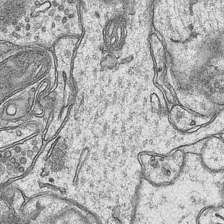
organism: Mouse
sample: CA1 Hippocampus